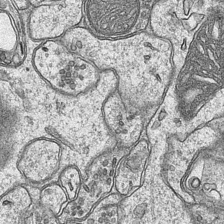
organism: Mouse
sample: CA1 Hippocampus